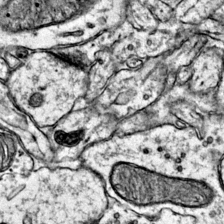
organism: Mouse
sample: Primary visual cortex